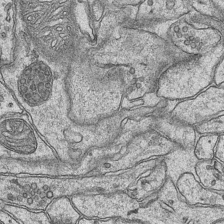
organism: Mouse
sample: CA1 Hippocampus